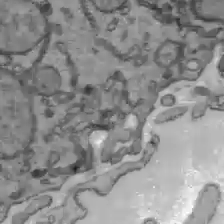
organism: C57BL Mouse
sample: Liver